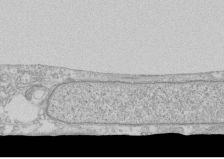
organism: Human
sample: CRL-1474